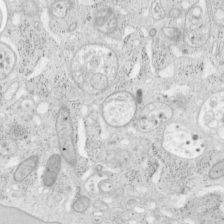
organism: Mouse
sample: OT-I killer T cells with ID8 ovarian cancer cells